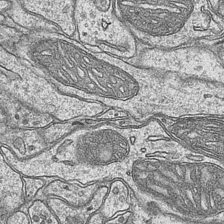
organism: Mouse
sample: CA1 Hippocampus